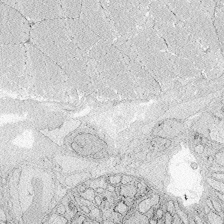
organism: Zebrafish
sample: Whole-Brain